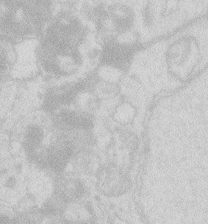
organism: Zebrafish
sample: Macrophage